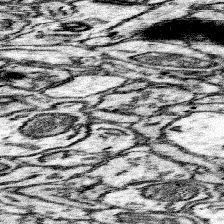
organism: Mouse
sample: Somatosensory cortex neuropil